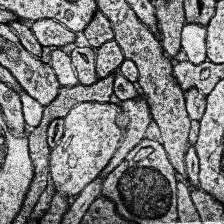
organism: Human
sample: Temporal Lobe